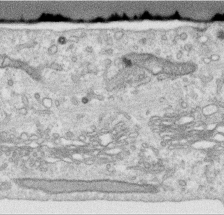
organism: Human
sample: Centriole in RPE cells